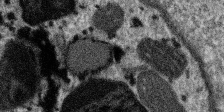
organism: Human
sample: Lung epithelial cells infected with SARS-CoV-2